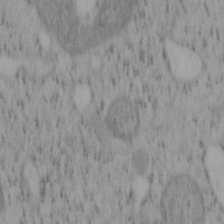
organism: Mouse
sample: OT-I killer T cells with ID8 ovarian cancer cells